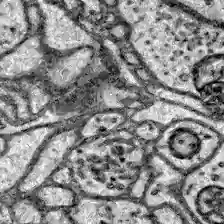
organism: Zebrafish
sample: Brain